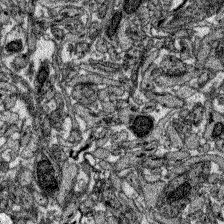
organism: Zebrafish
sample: Larval olfactory bulb